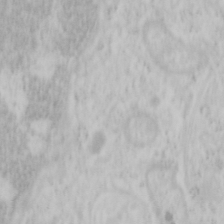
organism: Mouse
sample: OT-I killer T cells with ID8 ovarian cancer cells